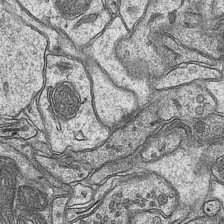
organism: Mouse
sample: CA1 Hippocampus